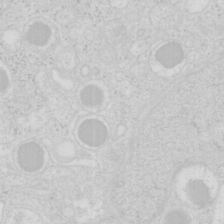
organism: Mouse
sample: Pancreas